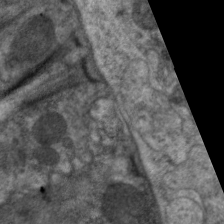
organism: C. elegans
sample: Pharynx